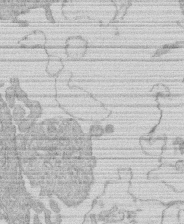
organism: Human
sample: Macrophage cells